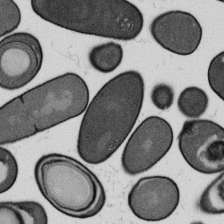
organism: B. subtilis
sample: Bacterial spore